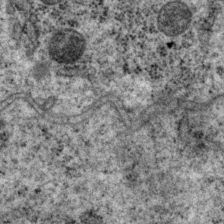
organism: P. pacificus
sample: Pharynx